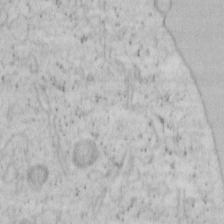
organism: Human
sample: HeLa cells